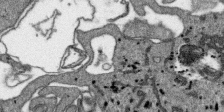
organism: Human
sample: Lung epithelial cells, uninfected (mock) control